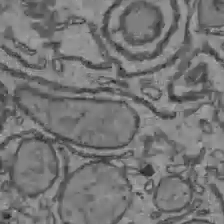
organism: C57BL Mouse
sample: Liver